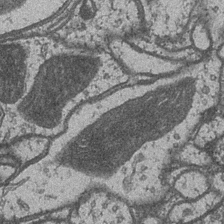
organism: Drosophila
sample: Optic medulla